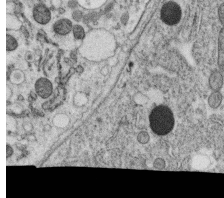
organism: C. elegans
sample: C. elegans oocyte; sperm cells